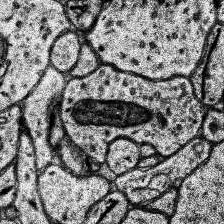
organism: Human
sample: Temporal Lobe